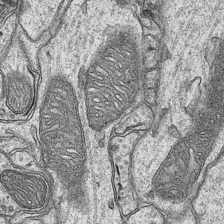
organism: Mouse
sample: CA1 Hippocampus